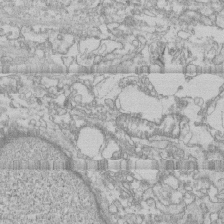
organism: Human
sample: CRL-1474